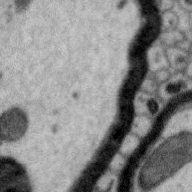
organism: Zebra finch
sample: Brain